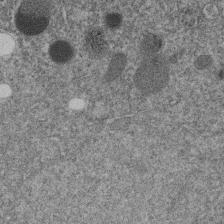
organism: C. elegans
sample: C. elegans embryo early stage